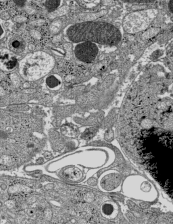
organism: C57BL Mouse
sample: Pancreatic islet